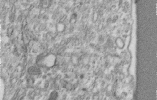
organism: Human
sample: Centriole in RPE cells